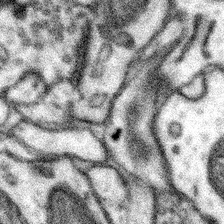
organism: Mouse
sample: Somatosensory cortex neuropil